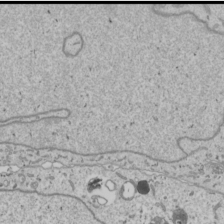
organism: Human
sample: Mitochondria in U2OS cells